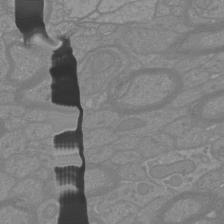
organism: Mouse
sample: Cortical neurons